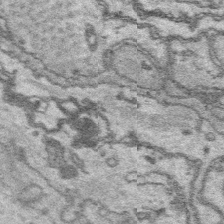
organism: Platynereis dumerilii